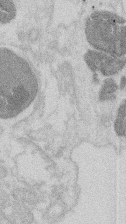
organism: Mouse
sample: T cell stromal cell synapse